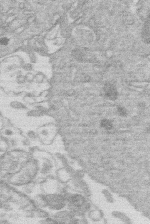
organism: Human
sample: Macrophage cells